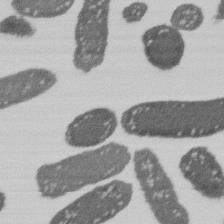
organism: E. coli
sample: Bacterial nucleoid